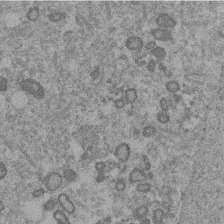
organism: Mouse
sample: Dividing mouse embryo 1 cell stage